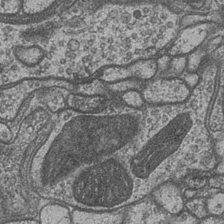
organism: Drosophila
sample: Optic medulla